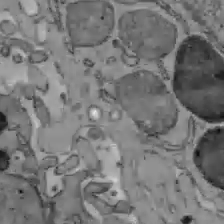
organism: C57BL Mouse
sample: Liver